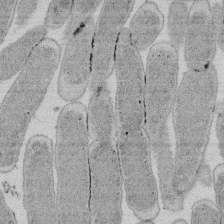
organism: E. coli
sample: Bacterial nucleoid